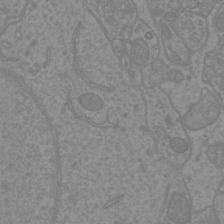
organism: Mouse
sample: Cortical neurons